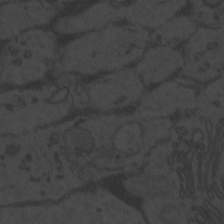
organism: Zebrafish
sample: Macrophage infected with Toxoplasma gondii